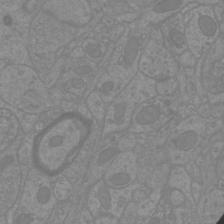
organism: Mouse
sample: Cortical neurons